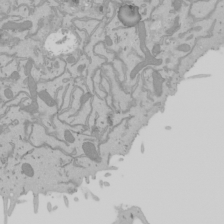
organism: Mouse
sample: Cancer cell death in ED-1 cells